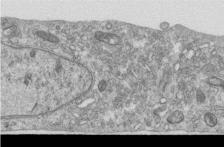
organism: Human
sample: Centriole in RPE cells